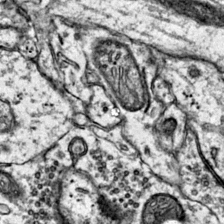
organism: Mouse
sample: Primary visual cortex